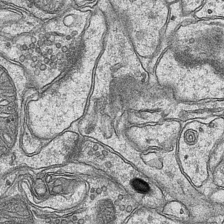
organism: Mouse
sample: CA1 Hippocampus